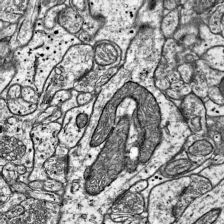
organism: Mouse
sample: Visual Cortex